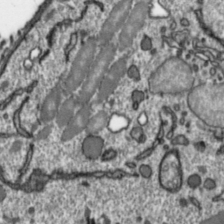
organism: Toxoplasma gondii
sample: Parasites in a vacuole inside a host cell